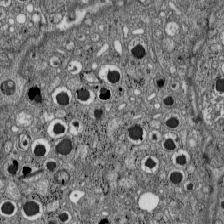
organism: C57BL Mouse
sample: Pancreatic islet